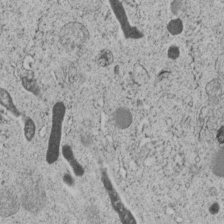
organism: C. elegans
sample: C. elegans embryo early stage